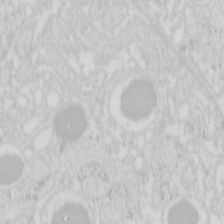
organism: Mouse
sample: Pancreas